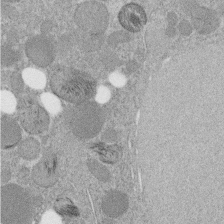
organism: C. elegans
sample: C. elegans embryo early stage